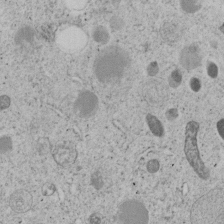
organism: C. elegans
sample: C. elegans embryo early stage